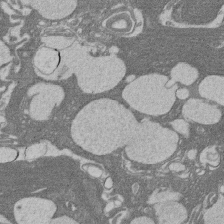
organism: Rat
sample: Salivary granule